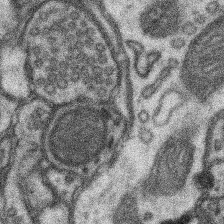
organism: Mouse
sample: Somatosensory cortex neuropil